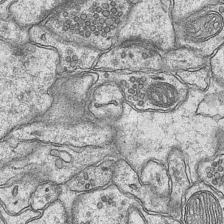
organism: Mouse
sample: CA1 Hippocampus